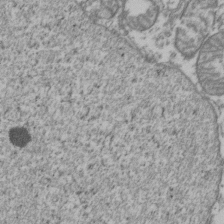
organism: Human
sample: Activated Jurkat CD4+ T cells